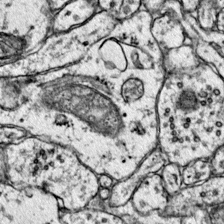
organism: Mouse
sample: Primary visual cortex